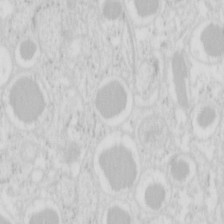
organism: Mouse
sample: Pancreas